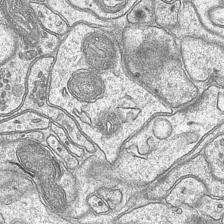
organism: Mouse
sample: CA1 Hippocampus